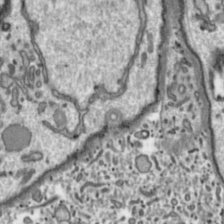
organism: Toxoplasma gondii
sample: Parasites in a vacuole inside a host cell